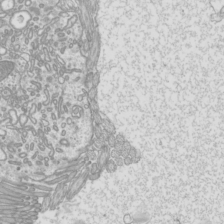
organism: Mouse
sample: Cilia; mouse epididymis